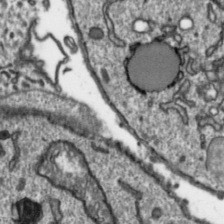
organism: Toxoplasma gondii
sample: Parasites in a vacuole inside a host cell